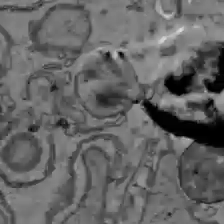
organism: C57BL Mouse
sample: Liver